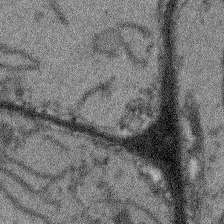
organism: Arabidopsis thaliana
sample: Root tip